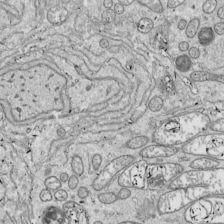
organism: Drosophila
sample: Cell division; meiosis; drosophila spermatocytes